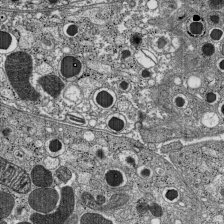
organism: C57BL Mouse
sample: Pancreatic islet